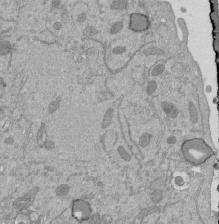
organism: Mouse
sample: ED-1 cell nuclei; centrioles